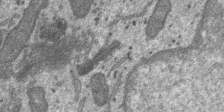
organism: Human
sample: Lung epithelial cells infected with SARS-CoV-2